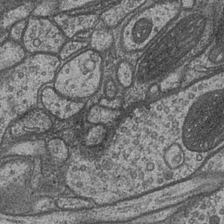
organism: Drosophila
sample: Optic medulla